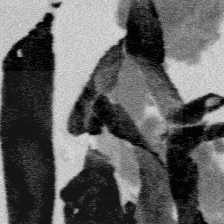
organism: Platynereis dumerilii